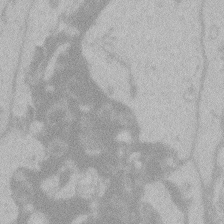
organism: Zebrafish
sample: Macrophage infected with Toxoplasma gondii